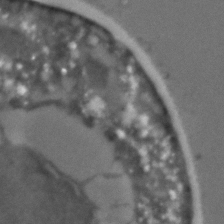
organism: C. elegans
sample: C. elegans embryo